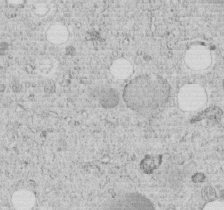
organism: C. elegans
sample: C. elegans embryo early stage